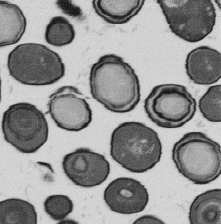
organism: B. subtilis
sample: Bacterial spore